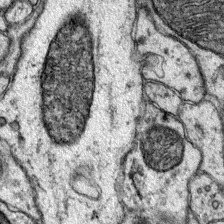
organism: Mouse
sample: Primary visual cortex